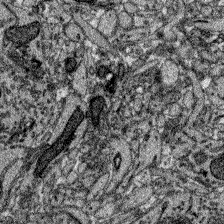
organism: Zebrafish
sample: Larval olfactory bulb